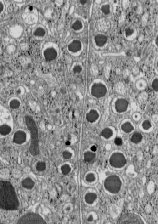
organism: C57BL Mouse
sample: Pancreatic islet